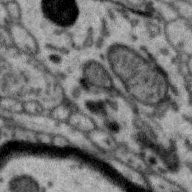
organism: Zebra finch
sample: Brain